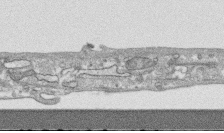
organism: Human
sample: CRL-1474